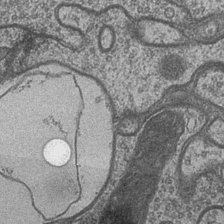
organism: Drosophila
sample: Optic medulla